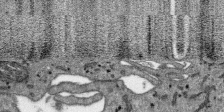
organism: Human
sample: Lung epithelial cells, uninfected (mock) control